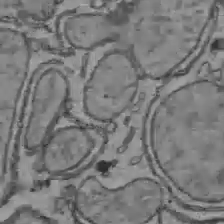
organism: C57BL Mouse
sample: Liver